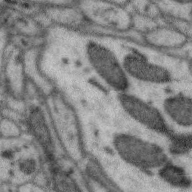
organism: Zebra finch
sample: Brain